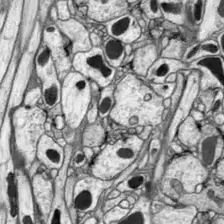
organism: Drosophila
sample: Optic lobe